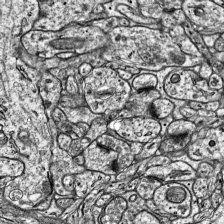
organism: Mouse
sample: Visual Cortex